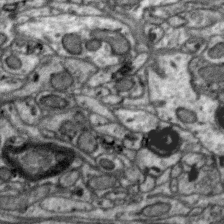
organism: Zebra finch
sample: Brain